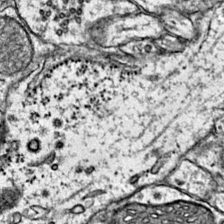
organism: Mouse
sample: Primary visual cortex